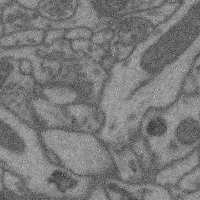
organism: Mouse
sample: Cerebral cortex